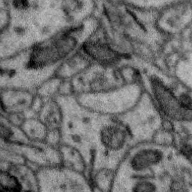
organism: Zebra finch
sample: Brain